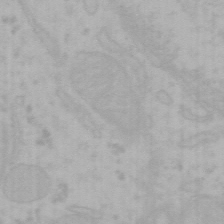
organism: Mouse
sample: Choroid plexus